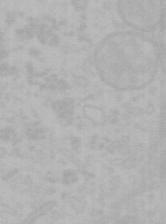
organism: Mouse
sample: Choroid plexus